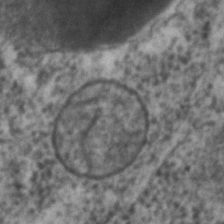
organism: C. elegans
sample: C. elegans embryo